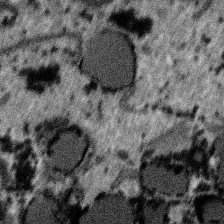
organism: Human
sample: Lung epithelial cells infected with SARS-CoV-2